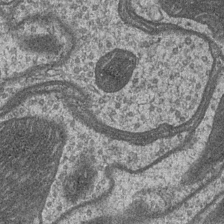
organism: Drosophila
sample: Optic medulla